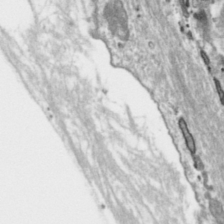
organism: Toxoplasma gondii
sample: Parasites in a vacuole inside a host cell